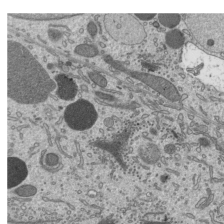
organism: Mouse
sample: Mouse epididymis efferent ductule cilia